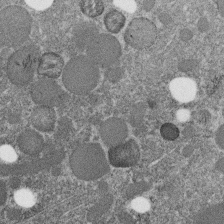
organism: C. elegans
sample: C. elegans embryo early stage